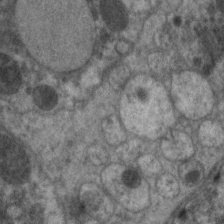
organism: C. elegans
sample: Pharynx